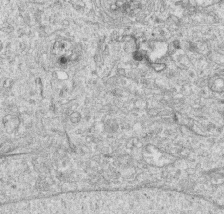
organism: Human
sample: HeLa cell HIV synapse